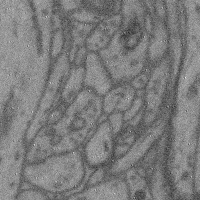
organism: Mouse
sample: Cerebral cortex